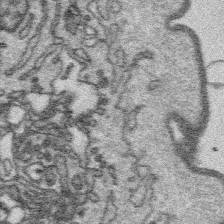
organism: Platynereis dumerilii